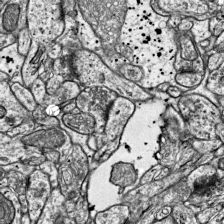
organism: Mouse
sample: Visual Cortex